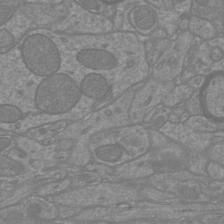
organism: Mouse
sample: Cortical neurons